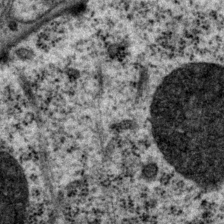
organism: P. pacificus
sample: Pharynx